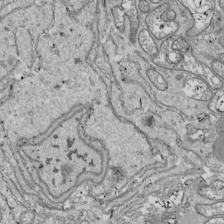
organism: Drosophila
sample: Cell division; meiosis; drosophila spermatocytes